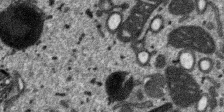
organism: Human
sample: Lung epithelial cells infected with SARS-CoV-2